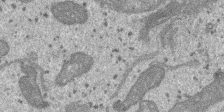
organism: Human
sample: Lung epithelial cells infected with SARS-CoV-2